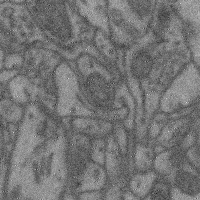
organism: Mouse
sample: Cerebral cortex